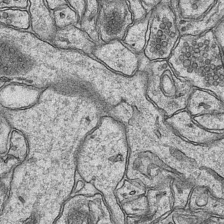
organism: Mouse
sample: CA1 Hippocampus